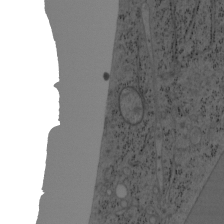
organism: Mouse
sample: OT-I killer T cells with ID8 ovarian cancer cells